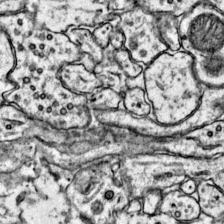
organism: Mouse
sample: Primary visual cortex